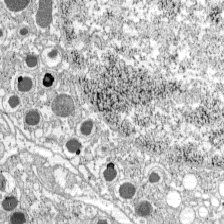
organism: C57BL Mouse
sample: Pancreatic islet